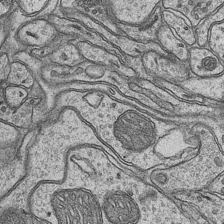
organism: Mouse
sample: CA1 Hippocampus